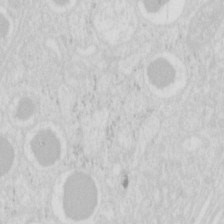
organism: Mouse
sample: Pancreas